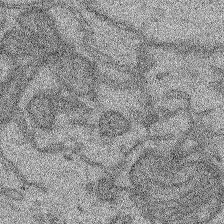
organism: Human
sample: HeLa cells